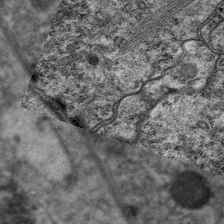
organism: C. elegans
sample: Pharynx